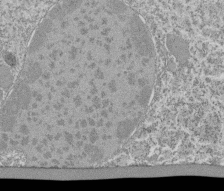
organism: Tetrahymena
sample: Cilia in tetrahymena